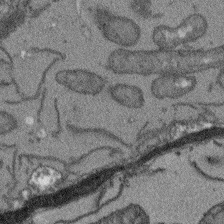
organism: Arabidopsis thaliana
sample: Root tip